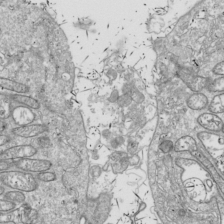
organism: Drosophila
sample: Cell division; meiosis; drosophila spermatocytes